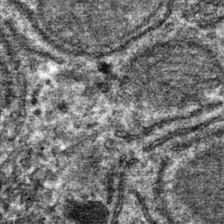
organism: Mouse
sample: Mouse hepatocytes